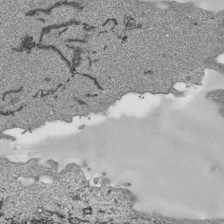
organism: Human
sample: Mitochondria in HCT116 cells